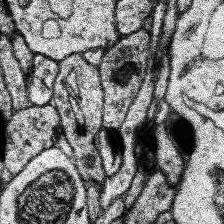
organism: Human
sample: Temporal Lobe